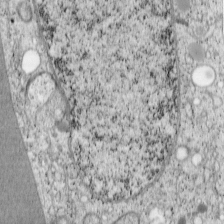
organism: African green monkey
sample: COS-7 cells